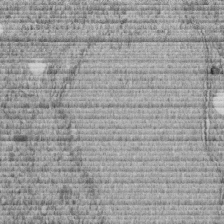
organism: C. elegans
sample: C. elegans embryo early stage